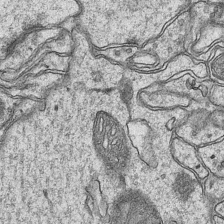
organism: Mouse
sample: CA1 Hippocampus